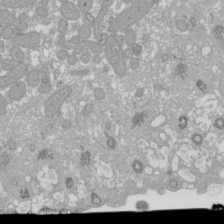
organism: Xenopus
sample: Cilia; centrioles in frog embryo cells